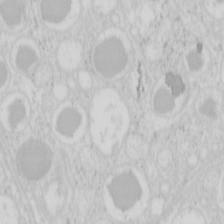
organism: Mouse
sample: Pancreas